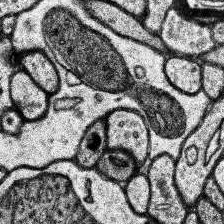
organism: Human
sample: Temporal Lobe